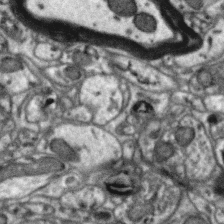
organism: Zebra finch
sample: Brain